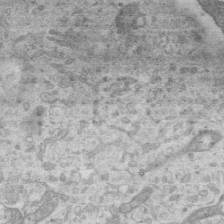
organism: Mouse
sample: Centriole in ependymal cells